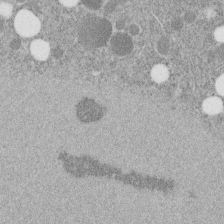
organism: C. elegans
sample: C. elegans embryo early stage